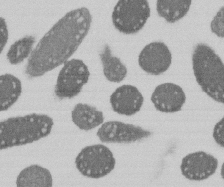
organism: E. coli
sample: Bacterial nucleoid